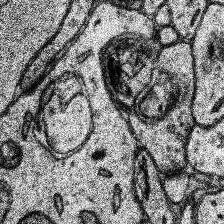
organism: Human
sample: Temporal Lobe